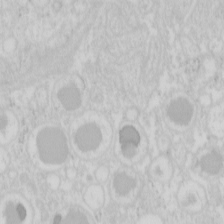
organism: Mouse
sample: Pancreas